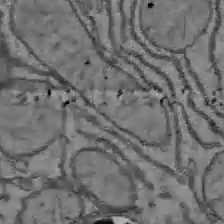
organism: C57BL Mouse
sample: Liver